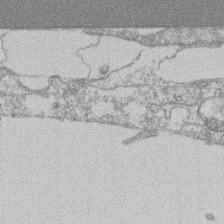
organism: Mouse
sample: T cell stromal cell synapse